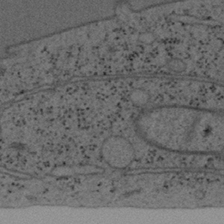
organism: Human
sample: HeLa cells